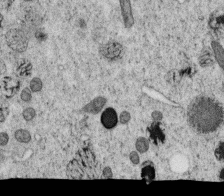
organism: C. elegans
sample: C. elegans oocyte; sperm cells